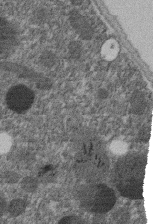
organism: C. elegans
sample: C. elegans embryo early stage